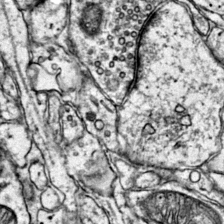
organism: Mouse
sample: Primary visual cortex